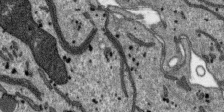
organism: Human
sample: Lung epithelial cells, uninfected (mock) control